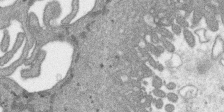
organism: Human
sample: Lung epithelial cells infected with SARS-CoV-2